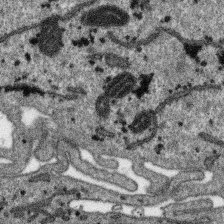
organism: Human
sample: Lung epithelial cells infected with SARS-CoV-2